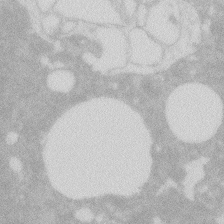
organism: Zebrafish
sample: Macrophage